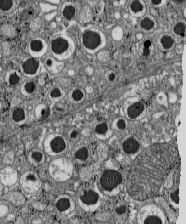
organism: C57BL Mouse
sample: Pancreatic islet